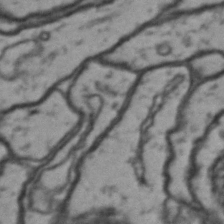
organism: Drosophila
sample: Brain